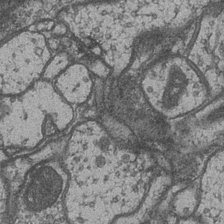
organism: Drosophila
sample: Optic medulla